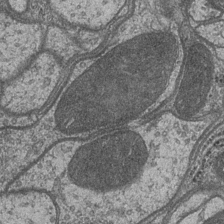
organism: Drosophila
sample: Optic medulla